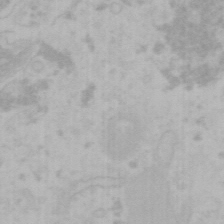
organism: Mouse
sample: Choroid plexus